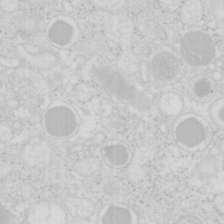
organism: Mouse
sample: Pancreas